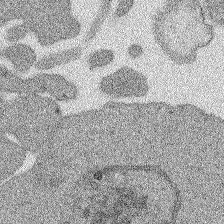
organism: Human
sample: HeLa cells